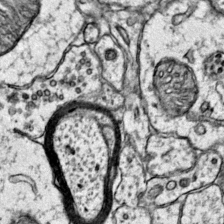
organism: Mouse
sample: Primary visual cortex